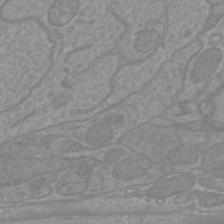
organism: Mouse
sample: Cortical neurons